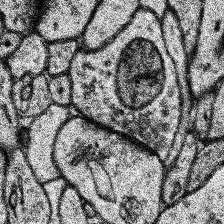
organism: Human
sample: Temporal Lobe